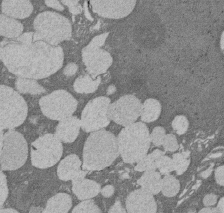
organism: Rat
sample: Salivary granule